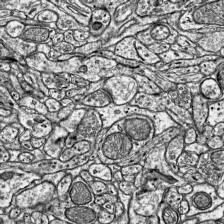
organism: Mouse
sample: Visual Cortex